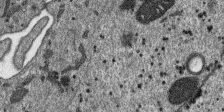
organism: Human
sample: Lung epithelial cells infected with SARS-CoV-2